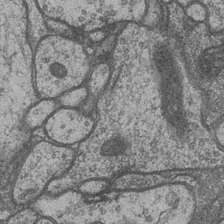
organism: Drosophila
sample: Optic medulla